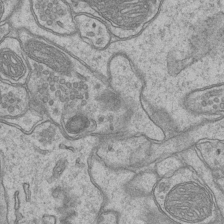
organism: Mouse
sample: CA1 Hippocampus